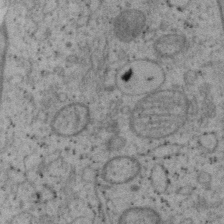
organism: Human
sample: HeLa cells